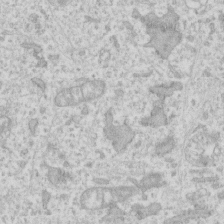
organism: Human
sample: Fibroblast cells